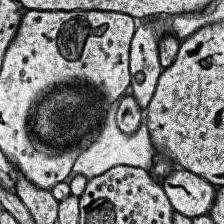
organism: Human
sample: Temporal Lobe